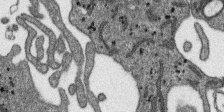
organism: Human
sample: Lung epithelial cells infected with SARS-CoV-2